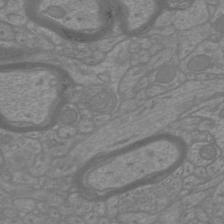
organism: Mouse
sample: Cortical neurons